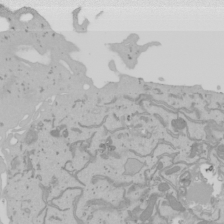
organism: Mouse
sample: Cancer cell death in ED-1 cells